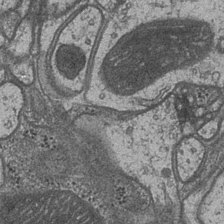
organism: Drosophila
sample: Optic medulla